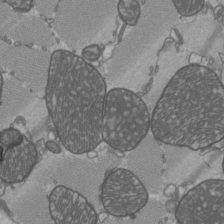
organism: C57BL Mouse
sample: Heart